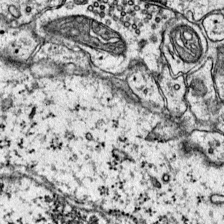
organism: Mouse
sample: Primary visual cortex